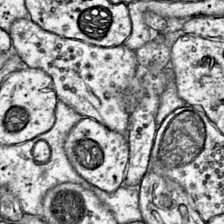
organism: Mouse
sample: Primary visual cortex